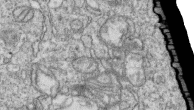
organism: Human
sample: HeLa cell HIV synapse